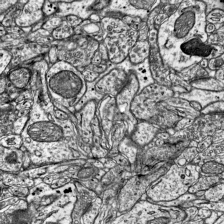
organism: Mouse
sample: Visual Cortex